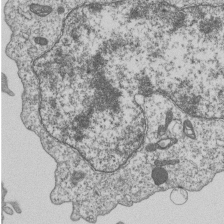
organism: Human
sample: MDA-MB-231 cells